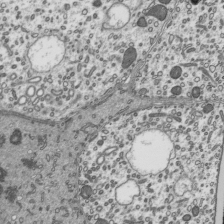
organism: Mouse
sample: Mouse epididymis efferent ductule cilia